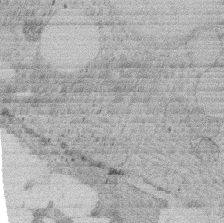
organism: Rat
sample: Salivary granule